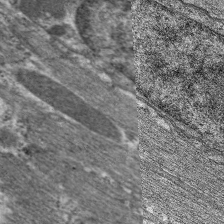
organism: C. elegans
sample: Pharynx